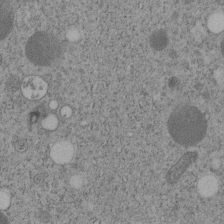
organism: C. elegans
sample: C. elegans embryo early stage